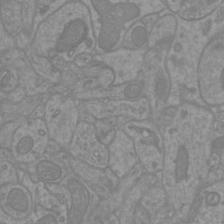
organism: Mouse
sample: Cortical neurons